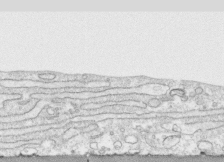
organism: Human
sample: CRL-1474